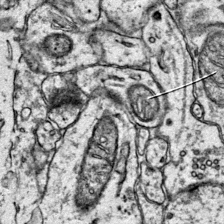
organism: Mouse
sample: Primary visual cortex